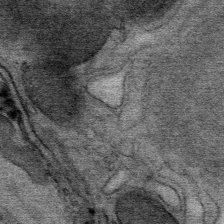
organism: Mouse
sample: Mouse Salivary gland